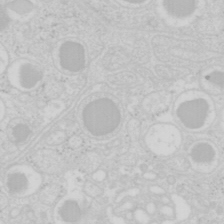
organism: Mouse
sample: Pancreas